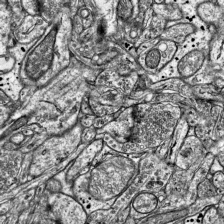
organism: Mouse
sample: Visual Cortex